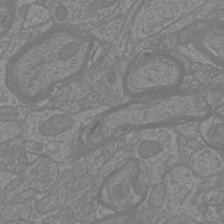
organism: Mouse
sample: Cortical neurons